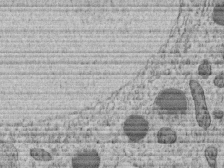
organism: C. elegans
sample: C. elegans embryo early stage